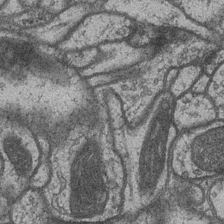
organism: Drosophila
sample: Optic medulla